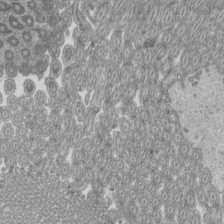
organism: Mouse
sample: Cilia; mouse epididymis